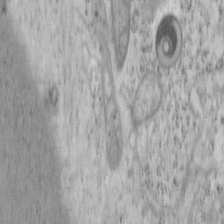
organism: Human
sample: HeLa cells